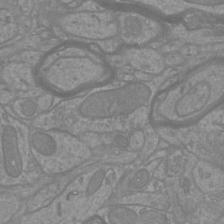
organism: Mouse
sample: Cortical neurons